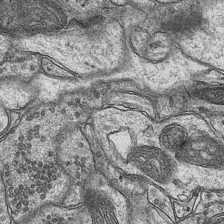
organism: Mouse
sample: CA1 Hippocampus